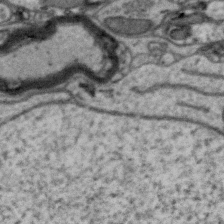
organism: Zebra finch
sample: Brain